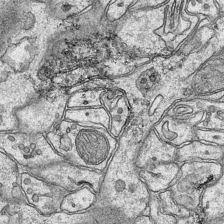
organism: Mouse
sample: CA1 Hippocampus